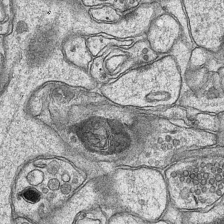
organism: Mouse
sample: CA1 Hippocampus